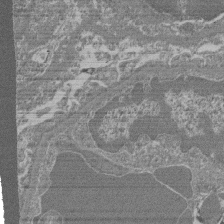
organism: Mouse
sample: Glomerulus